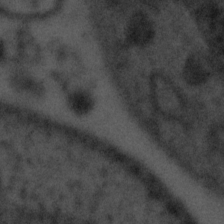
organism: Tuwongella immobilis